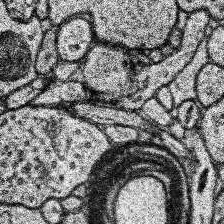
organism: Human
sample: Temporal Lobe